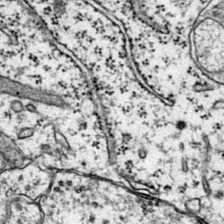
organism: Mouse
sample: Primary visual cortex